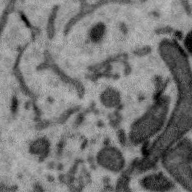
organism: Zebra finch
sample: Brain